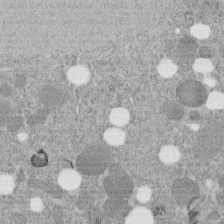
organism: C. elegans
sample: C. elegans embryo early stage